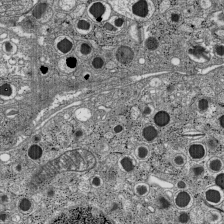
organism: C57BL Mouse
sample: Pancreatic islet